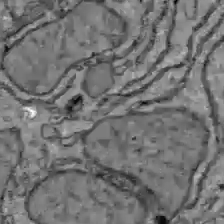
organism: C57BL Mouse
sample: Liver